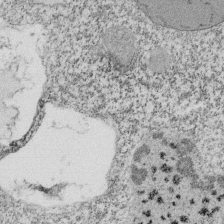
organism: Tetrahymena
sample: Cilia in tetrahymena